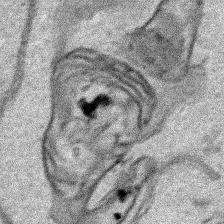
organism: Human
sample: Mitochondria in HCT116 cells